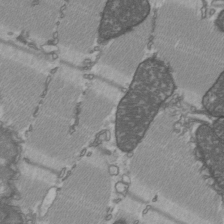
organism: C57BL Mouse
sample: Heart